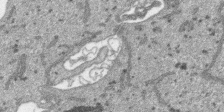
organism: Human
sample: Lung epithelial cells infected with SARS-CoV-2